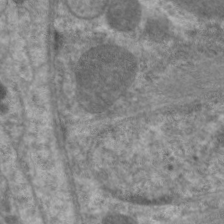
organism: C. elegans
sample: Pharynx